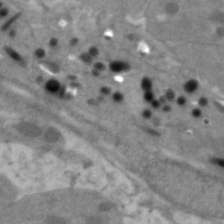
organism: Zebrafish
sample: Zebrafish embryo